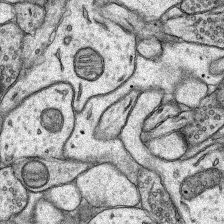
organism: Rat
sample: Hippocampus